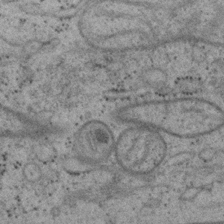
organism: Human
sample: HeLa cells